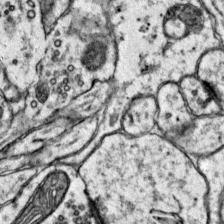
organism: Mouse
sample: Primary visual cortex